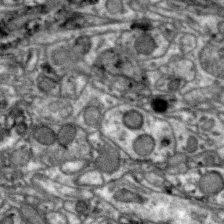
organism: Zebra finch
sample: Brain